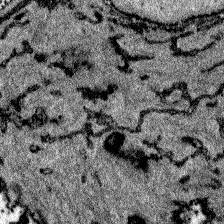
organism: Zebrafish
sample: Larval olfactory bulb